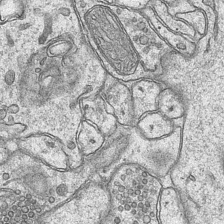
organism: Mouse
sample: CA1 Hippocampus